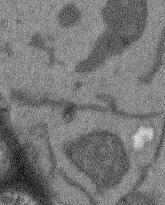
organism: Arabidopsis thaliana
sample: Root tip